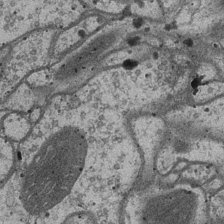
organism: Drosophila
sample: Optic medulla